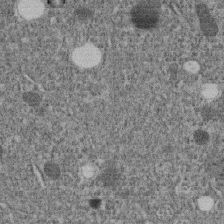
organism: C. elegans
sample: C. elegans embryo early stage